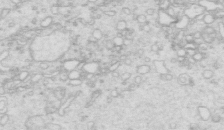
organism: Mouse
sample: Multiciliated cells